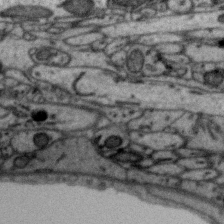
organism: Zebra finch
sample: Brain